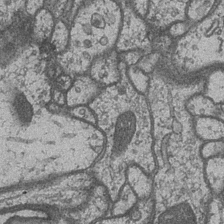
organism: Drosophila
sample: Optic medulla